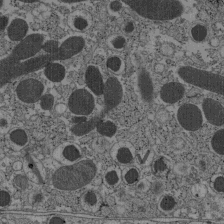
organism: C57BL Mouse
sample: Pancreatic islet